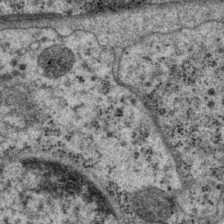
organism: P. pacificus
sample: Pharynx